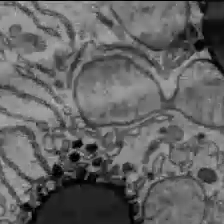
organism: C57BL Mouse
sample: Liver